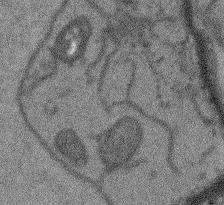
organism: Arabidopsis thaliana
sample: Root tip